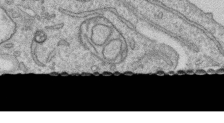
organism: Human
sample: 1205lu cells